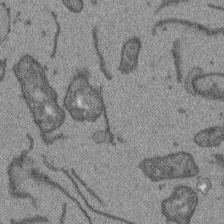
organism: Arabidopsis thaliana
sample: Root tip